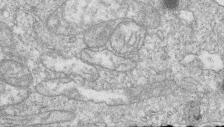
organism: Human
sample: HeLa cell HIV synapse